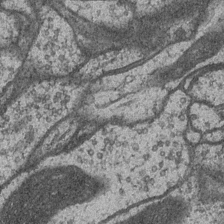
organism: Drosophila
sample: Optic medulla